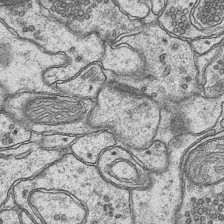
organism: Mouse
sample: CA1 Hippocampus